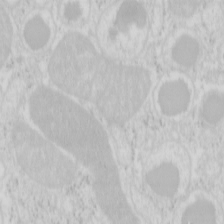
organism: Mouse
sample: Pancreas